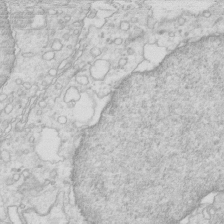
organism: Mouse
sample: Multiciliated cells